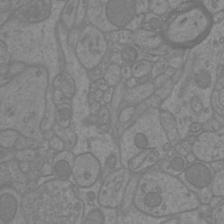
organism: Mouse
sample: Cortical neurons